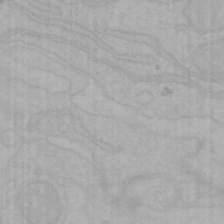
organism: Mouse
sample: Choroid plexus